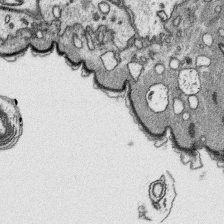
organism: Platynereis dumerilii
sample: Parapodia